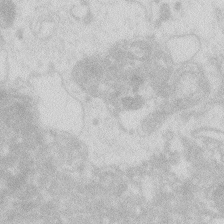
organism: Zebrafish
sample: Macrophage